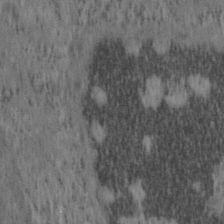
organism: Mouse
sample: OT-I killer T cells with ID8 ovarian cancer cells